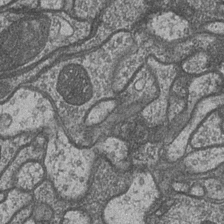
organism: Drosophila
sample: Optic medulla